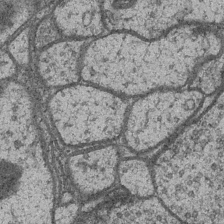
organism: Drosophila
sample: Optic medulla